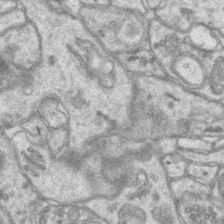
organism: Mouse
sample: CA1 Hippocampus